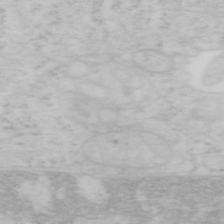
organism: Mouse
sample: OT-I killer T cells with ID8 ovarian cancer cells